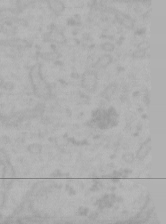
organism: Mouse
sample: Choroid plexus